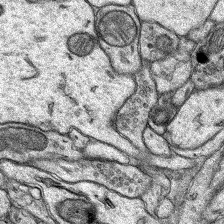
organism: Rat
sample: Hippocampus